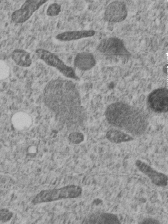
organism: C. elegans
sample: C. elegans embryo early stage